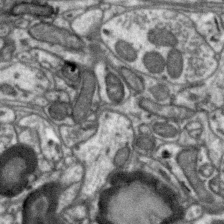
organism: Zebra finch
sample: Brain